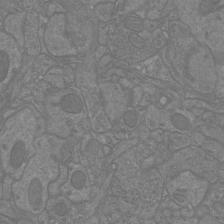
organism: Mouse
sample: Cortical neurons